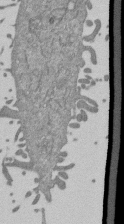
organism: Mouse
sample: ED-1 cell nuclei; centrioles